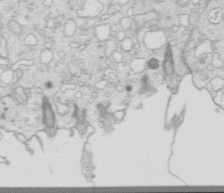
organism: Mouse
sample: Multiciliated cells